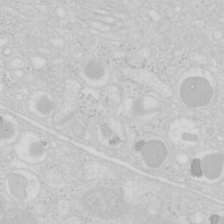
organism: Mouse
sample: Pancreas